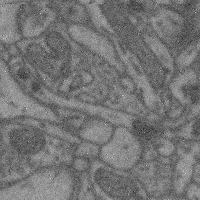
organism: Mouse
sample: Cerebral cortex